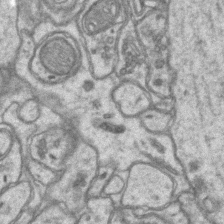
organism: Mouse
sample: CA1 Hippocampus